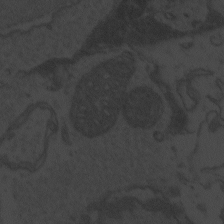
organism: Zebrafish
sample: Macrophage infected with Toxoplasma gondii